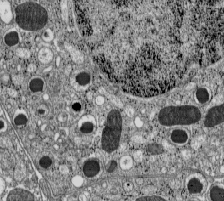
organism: C57BL Mouse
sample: Pancreatic islet